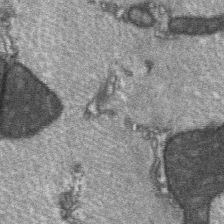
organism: C57BL Mouse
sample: Soleus